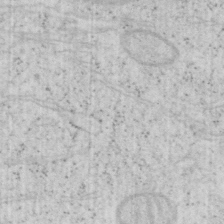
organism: Human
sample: HeLa cells